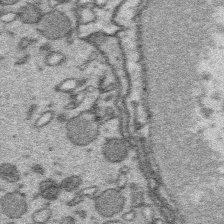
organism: Platynereis dumerilii